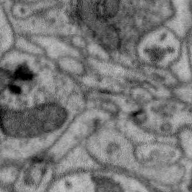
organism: Zebra finch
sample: Brain